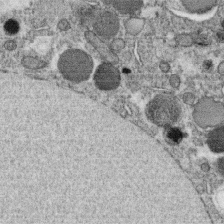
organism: C. elegans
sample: C. elegans oocyte; sperm cells